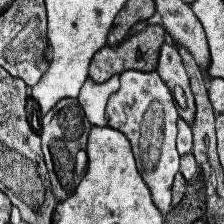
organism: Human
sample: Temporal Lobe